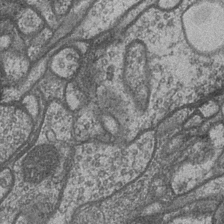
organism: Drosophila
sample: Optic medulla